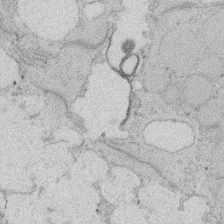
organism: Rat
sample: Salivary granule